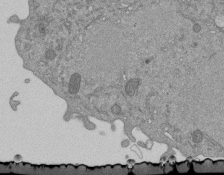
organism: Mouse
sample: ED-1 cell nuclei; centrioles